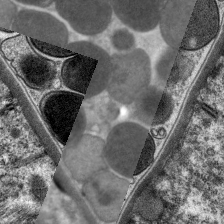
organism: C. elegans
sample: Pharynx